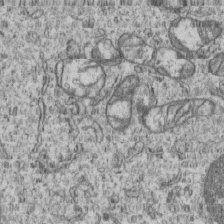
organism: Human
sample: MDA-MB-231 cells